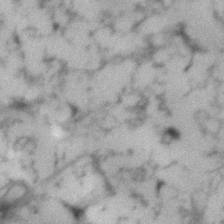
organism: Human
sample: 1205lu cells